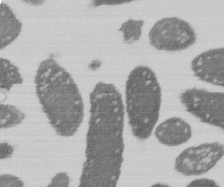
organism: E. coli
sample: Bacterial nucleoid